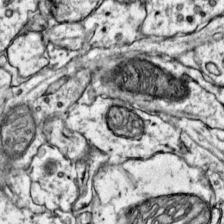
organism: Mouse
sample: Primary visual cortex